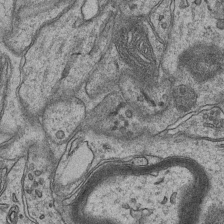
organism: Mouse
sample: CA1 Hippocampus